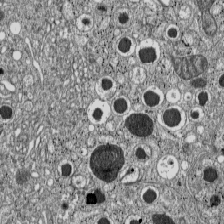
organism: C57BL Mouse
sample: Pancreatic islet